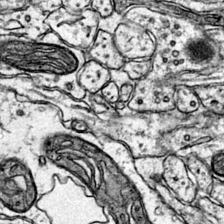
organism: Mouse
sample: Primary visual cortex